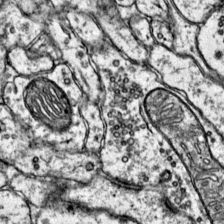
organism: Mouse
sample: Primary visual cortex